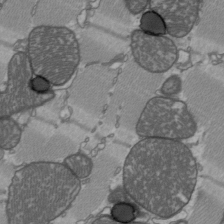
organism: C57BL Mouse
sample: Heart